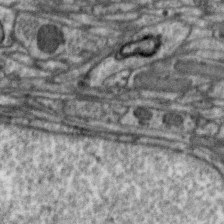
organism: Zebra finch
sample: Brain